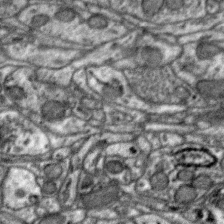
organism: Zebra finch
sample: Brain